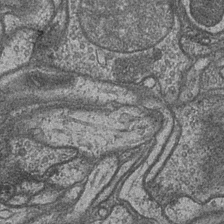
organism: Drosophila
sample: Optic medulla